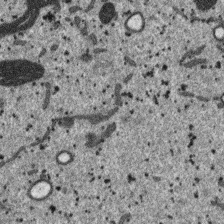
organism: Human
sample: Lung epithelial cells infected with SARS-CoV-2